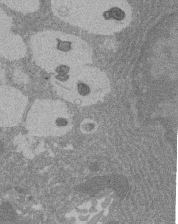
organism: Rat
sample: Salivary granule